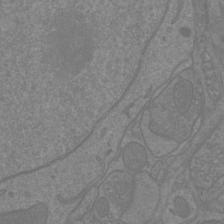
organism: Mouse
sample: Cortical neurons